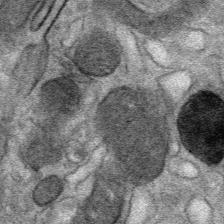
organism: Mouse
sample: Mouse Salivary gland